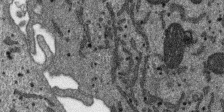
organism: Human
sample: Lung epithelial cells infected with SARS-CoV-2